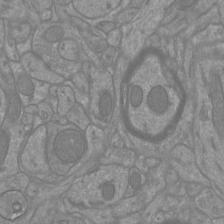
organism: Mouse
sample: Cortical neurons